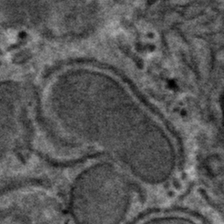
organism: Mouse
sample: Mouse hepatocytes